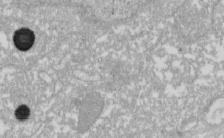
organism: Xenopus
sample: Cilia; centrioles in frog embryo cells